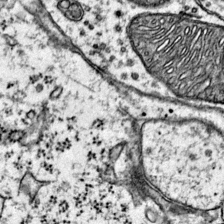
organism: Mouse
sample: Primary visual cortex